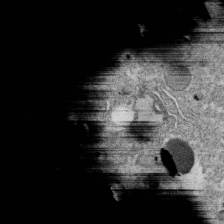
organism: C. elegans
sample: C. elegans oocyte; sperm cells